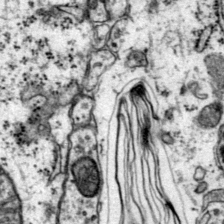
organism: Mouse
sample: Primary visual cortex